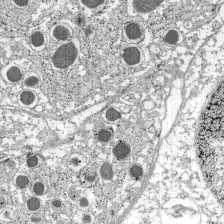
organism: C57BL Mouse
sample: Pancreatic islet